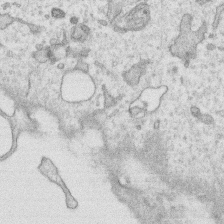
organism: Human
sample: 1205lu cells